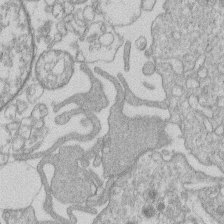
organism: Human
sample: Macrophage cells